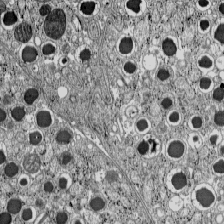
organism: C57BL Mouse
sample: Pancreatic islet